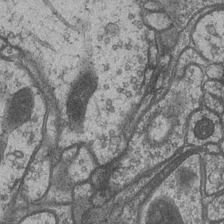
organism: Drosophila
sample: Optic medulla